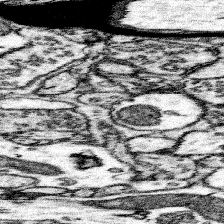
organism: Mouse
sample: Somatosensory cortex neuropil